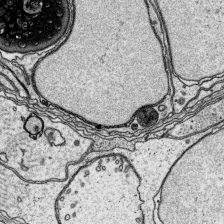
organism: Platynereis dumerilii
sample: Parapodia